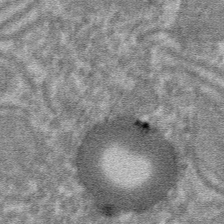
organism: Mouse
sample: Mouse hepatocytes